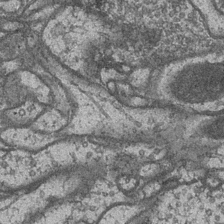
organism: Drosophila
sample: Optic medulla